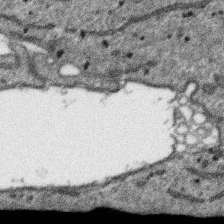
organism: Human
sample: Lung epithelial cells infected with SARS-CoV-2